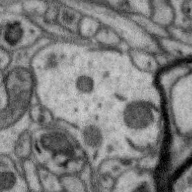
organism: Zebra finch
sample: Brain